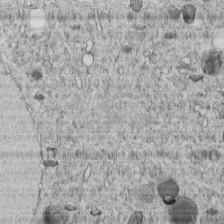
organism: C. elegans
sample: C. elegans embryo early stage